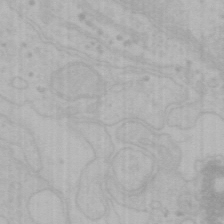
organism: Mouse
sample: Choroid plexus